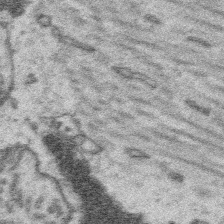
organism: Platynereis dumerilii